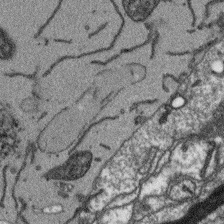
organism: Arabidopsis thaliana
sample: Root tip